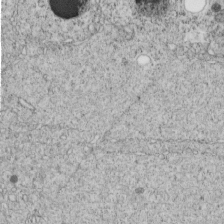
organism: C. elegans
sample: C. elegans embryo early stage